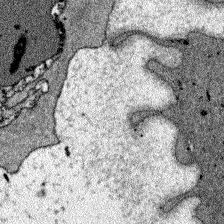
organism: Zebrafish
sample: Larval olfactory bulb